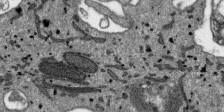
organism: Human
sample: Lung epithelial cells, uninfected (mock) control